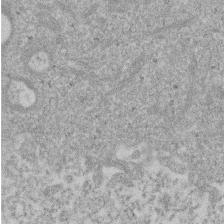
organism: Mouse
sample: Dividing mouse embryo 1 cell stage